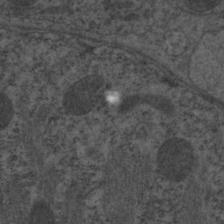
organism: C. elegans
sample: Pharynx